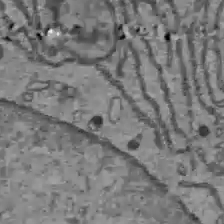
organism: C57BL Mouse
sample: Liver